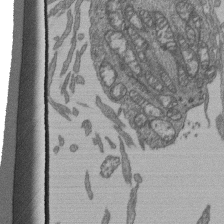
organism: Human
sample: Retinal organoid Rod and Cone cells